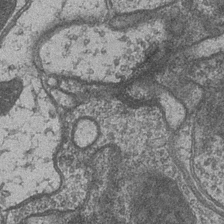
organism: Drosophila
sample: Optic medulla